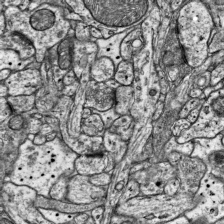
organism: Mouse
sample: Visual Cortex